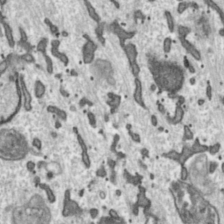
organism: Toxoplasma gondii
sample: Parasites in a vacuole inside a host cell